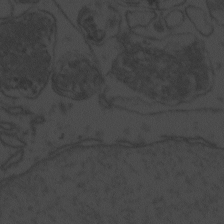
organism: Zebrafish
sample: Macrophage infected with Toxoplasma gondii